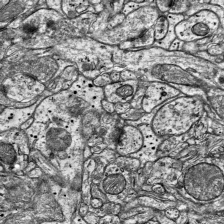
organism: Mouse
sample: Visual Cortex